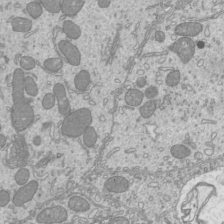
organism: Mouse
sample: Cilia; mouse epididymis